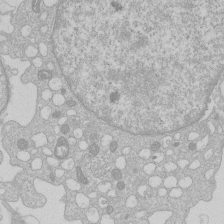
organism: Human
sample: Macrophage cells